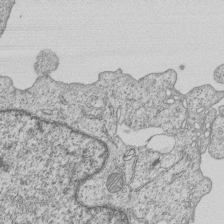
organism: Human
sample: MDA-MB-231 cells